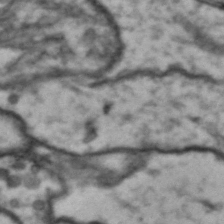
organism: Drosophila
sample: Brain